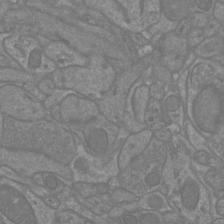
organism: Mouse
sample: Cortical neurons